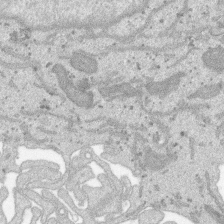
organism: Human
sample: Lung epithelial cells infected with SARS-CoV-2